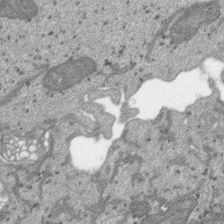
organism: Human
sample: Lung epithelial cells infected with SARS-CoV-2